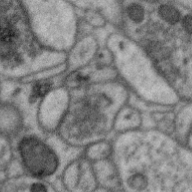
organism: Zebra finch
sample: Brain